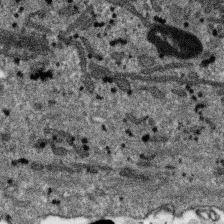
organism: Human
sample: Lung epithelial cells infected with SARS-CoV-2